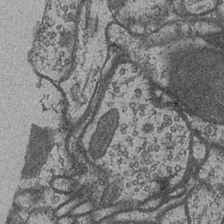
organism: Drosophila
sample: Optic medulla